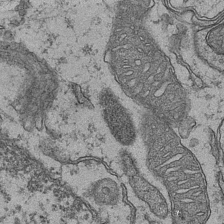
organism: Mouse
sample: CA1 Hippocampus